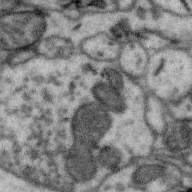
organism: Zebra finch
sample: Brain